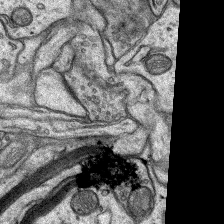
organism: Rat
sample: Hippocampus